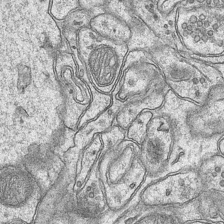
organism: Mouse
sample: CA1 Hippocampus